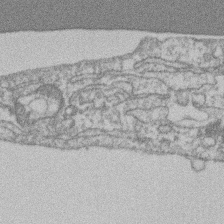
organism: Mouse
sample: T cell stromal cell synapse